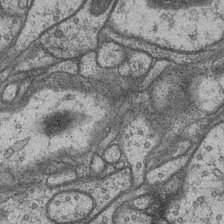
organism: Drosophila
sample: Optic medulla